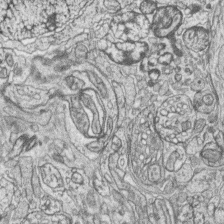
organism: Zebrafish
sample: synaptic ribbons in rod cells and cone cells